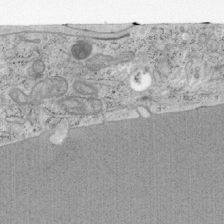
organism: Human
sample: HeLa cells